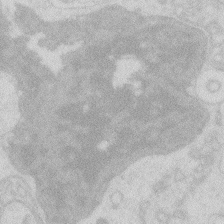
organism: Zebrafish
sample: Macrophage